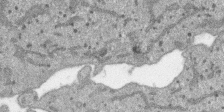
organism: Human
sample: Lung epithelial cells infected with SARS-CoV-2